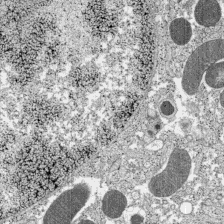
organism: C57BL Mouse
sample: Pancreatic islet